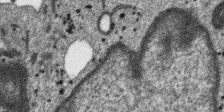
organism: Human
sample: Lung epithelial cells infected with SARS-CoV-2